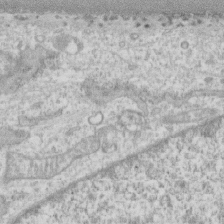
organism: Human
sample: CRL-1474